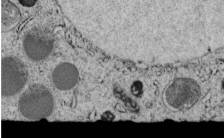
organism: C. elegans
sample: C. elegans embryo early stage